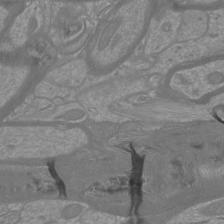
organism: Mouse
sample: Cortical neurons